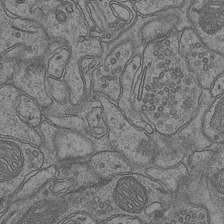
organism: Mouse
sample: CA1 Hippocampus